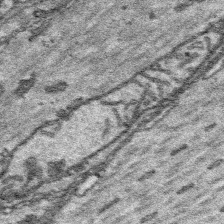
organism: Platynereis dumerilii